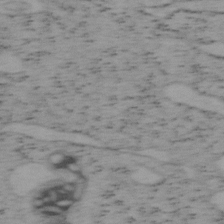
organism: Mouse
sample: OT-I killer T cells with ID8 ovarian cancer cells